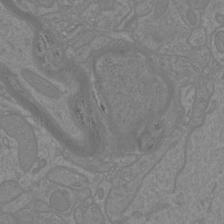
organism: Mouse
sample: Cortical neurons